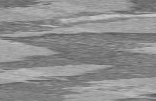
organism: C57BL Mouse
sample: Heart